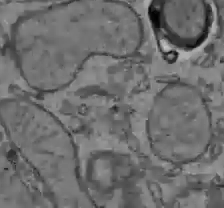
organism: C57BL Mouse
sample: Liver